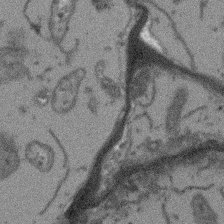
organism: Arabidopsis thaliana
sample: Root tip